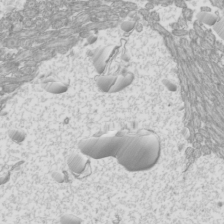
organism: Mouse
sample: Cilia; mouse epididymis